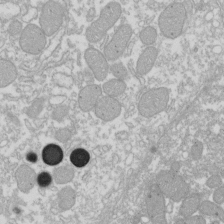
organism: Xenopus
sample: Cilia; centrioles in frog embryo cells